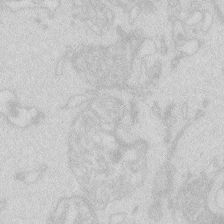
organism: Zebrafish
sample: Macrophage